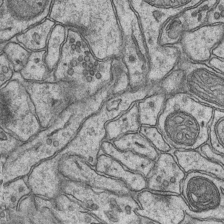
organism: Mouse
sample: CA1 Hippocampus